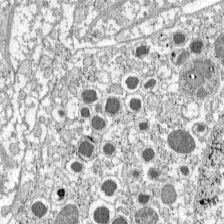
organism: C57BL Mouse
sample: Pancreatic islet